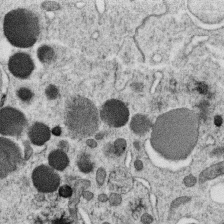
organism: C. elegans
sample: C. elegans oocyte; sperm cells